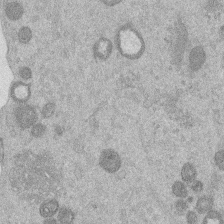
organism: Mouse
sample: Dividing mouse embryo 1 cell stage